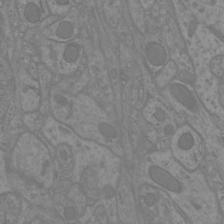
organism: Mouse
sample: Cortical neurons